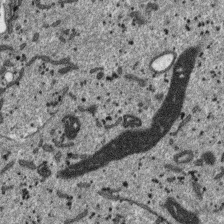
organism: Human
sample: Lung epithelial cells infected with SARS-CoV-2